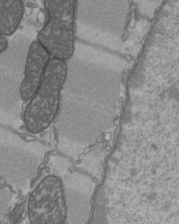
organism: C57BL Mouse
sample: Heart